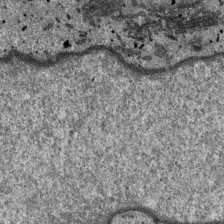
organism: Human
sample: Lung epithelial cells, uninfected (mock) control